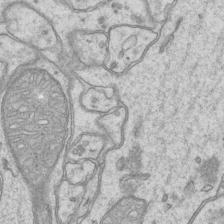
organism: Mouse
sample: CA1 Hippocampus